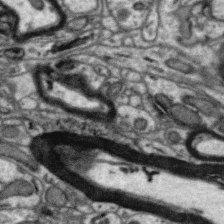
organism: Zebra finch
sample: Brain